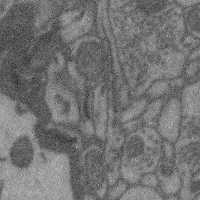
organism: Mouse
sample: Cerebral cortex